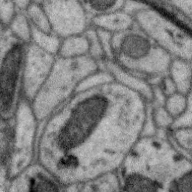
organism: Zebra finch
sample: Brain